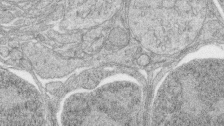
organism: Zebrafish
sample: synaptic ribbons in rod cells and cone cells